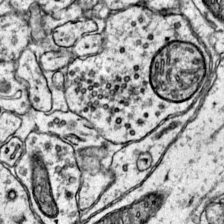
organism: Mouse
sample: Primary visual cortex